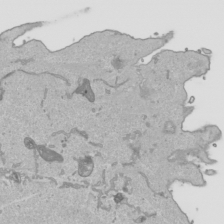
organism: Human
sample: Mitochondria in HCT116 cells